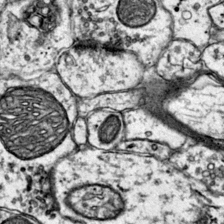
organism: Mouse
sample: Primary visual cortex